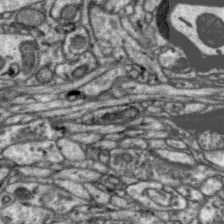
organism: Zebra finch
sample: Brain